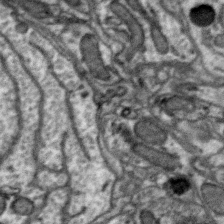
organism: Zebra finch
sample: Brain